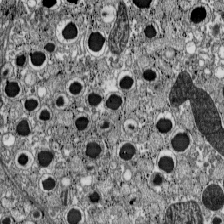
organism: C57BL Mouse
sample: Pancreatic islet